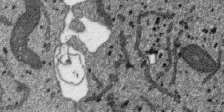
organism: Human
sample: Lung epithelial cells infected with SARS-CoV-2